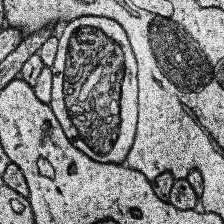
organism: Human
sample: Temporal Lobe